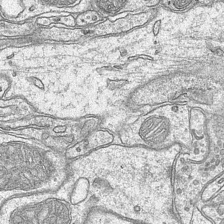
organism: Mouse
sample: CA1 Hippocampus